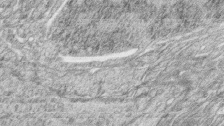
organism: Zebrafish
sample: synaptic ribbons in rod cells and cone cells